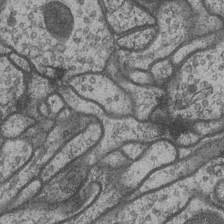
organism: Drosophila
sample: Optic medulla